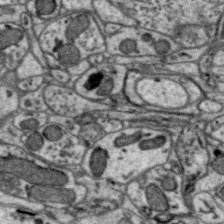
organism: Zebra finch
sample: Brain